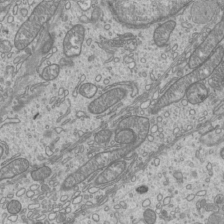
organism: Mouse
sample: Cilia; mouse epididymis